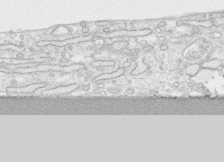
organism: Human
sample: CRL-1474